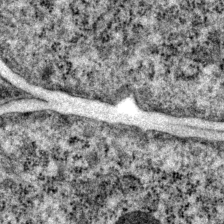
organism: P. pacificus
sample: Pharynx